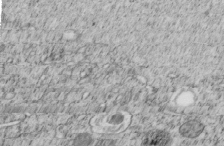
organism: C. elegans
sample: C. elegans embryo early stage